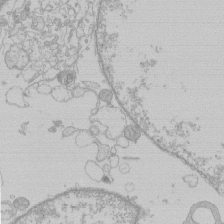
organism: Human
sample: Macrophage cells